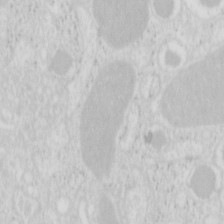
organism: Mouse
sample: Pancreas